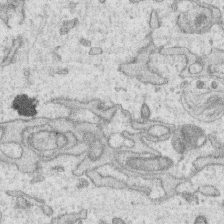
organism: Human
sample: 1205lu cells